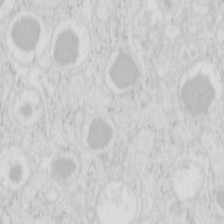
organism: Mouse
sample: Pancreas